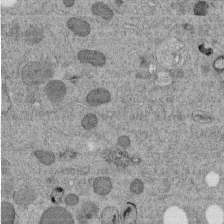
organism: C. elegans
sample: C. elegans embryo early stage